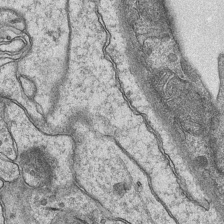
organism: Mouse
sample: CA1 Hippocampus